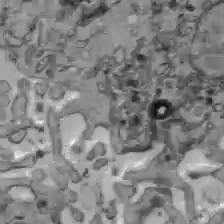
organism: C57BL Mouse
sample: Liver